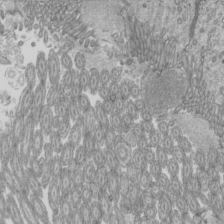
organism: Mouse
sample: Cilia; mouse epididymis